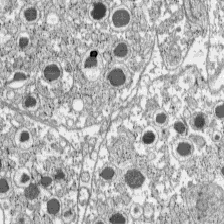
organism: C57BL Mouse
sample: Pancreatic islet